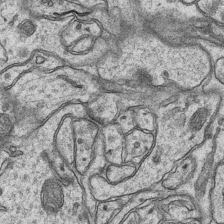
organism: Mouse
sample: CA1 Hippocampus